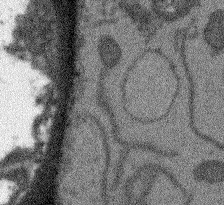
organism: Arabidopsis thaliana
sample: Root tip